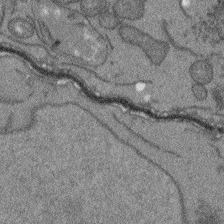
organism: Arabidopsis thaliana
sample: Root tip